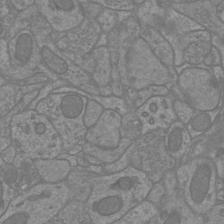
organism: Mouse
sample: Cortical neurons